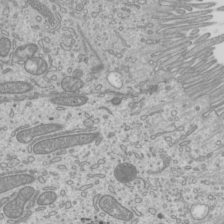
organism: Mouse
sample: Cilia; mouse epididymis